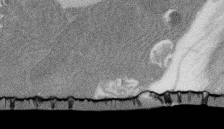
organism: Rat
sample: Salivary granule